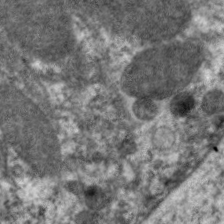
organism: C. elegans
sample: Pharynx